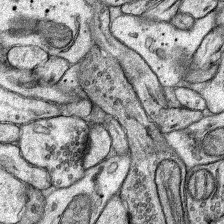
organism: Rat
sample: Hippocampus